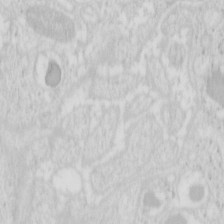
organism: Mouse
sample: Pancreas